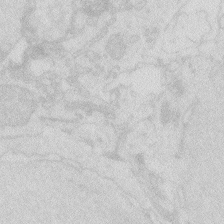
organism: Zebrafish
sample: Macrophage